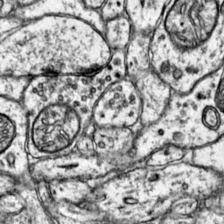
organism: Mouse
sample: Primary visual cortex